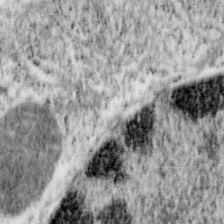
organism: Mouse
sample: OT-I killer T cells with ID8 ovarian cancer cells